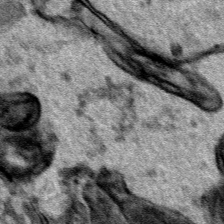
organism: Human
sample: Mitochondria in HCT116 cells